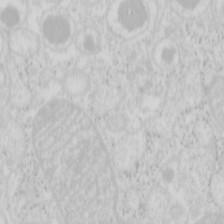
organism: Mouse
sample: Pancreas